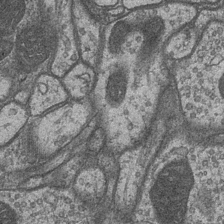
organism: Drosophila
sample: Optic medulla